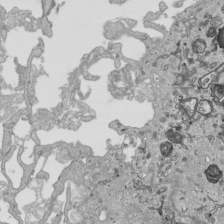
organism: Human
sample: Mitochondria in HCT116 cells